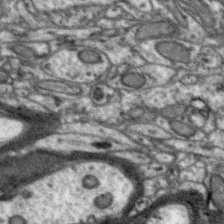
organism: Zebra finch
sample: Brain